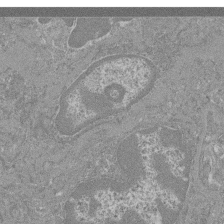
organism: Mouse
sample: Glomerulus